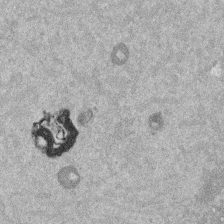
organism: Mouse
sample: Dividing mouse embryo 1 cell stage